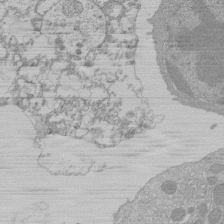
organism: Mouse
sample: Activated Pmel transgenic CD8+ T Cells